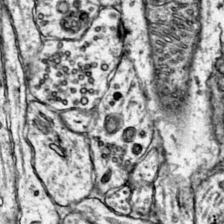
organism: Mouse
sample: Primary visual cortex